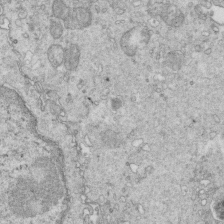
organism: Mouse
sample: Multiciliated cells